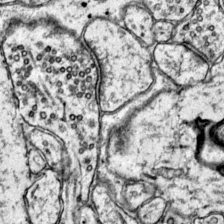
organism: Mouse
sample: Primary visual cortex